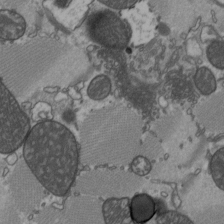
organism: C57BL Mouse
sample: Heart